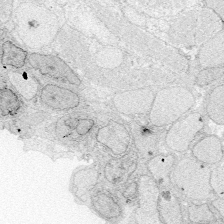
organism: Zebrafish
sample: Whole-Brain